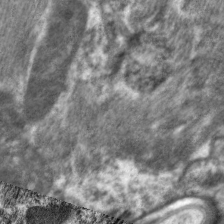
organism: C. elegans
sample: Pharynx